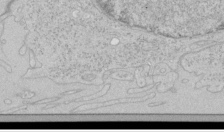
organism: Human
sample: Mitochondria in HCT116 cells